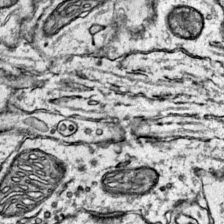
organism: Mouse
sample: Primary visual cortex